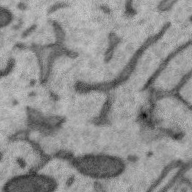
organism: Zebra finch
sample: Brain